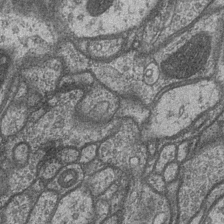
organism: Drosophila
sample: Optic medulla